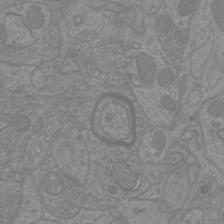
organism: Mouse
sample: Cortical neurons